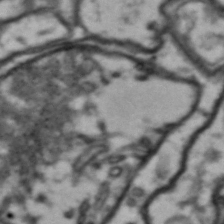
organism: Drosophila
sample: Brain